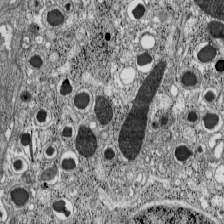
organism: C57BL Mouse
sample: Pancreatic islet